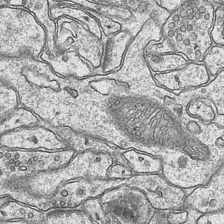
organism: Mouse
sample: CA1 Hippocampus